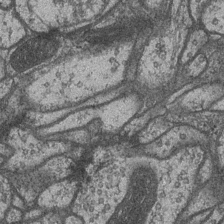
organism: Drosophila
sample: Optic medulla